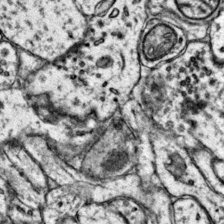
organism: Mouse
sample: Primary visual cortex